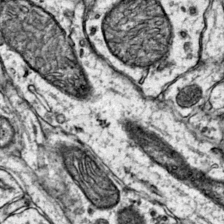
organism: Mouse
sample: Primary visual cortex